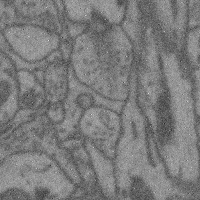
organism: Mouse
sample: Cerebral cortex